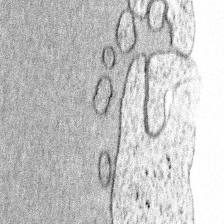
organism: Human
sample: HeLa cells